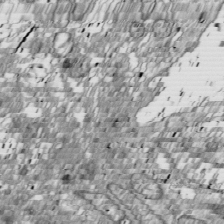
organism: Drosophila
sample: Cell division; meiosis; drosophila spermatocytes